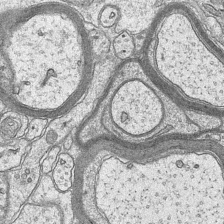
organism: Mouse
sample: CA1 Hippocampus